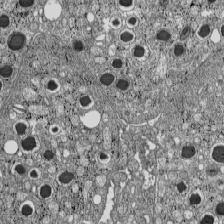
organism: C57BL Mouse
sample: Pancreatic islet